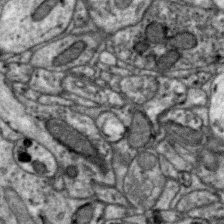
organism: Zebra finch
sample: Brain